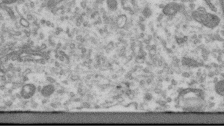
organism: Human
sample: Centriole in RPE cells